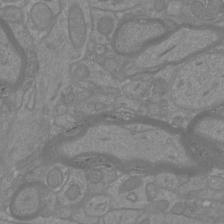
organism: Mouse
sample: Cortical neurons